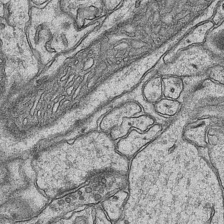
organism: Mouse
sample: CA1 Hippocampus